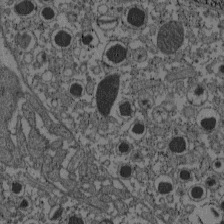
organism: C57BL Mouse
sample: Pancreatic islet